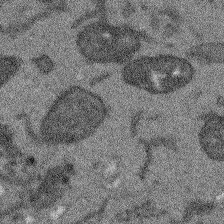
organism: Arabidopsis thaliana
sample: Root tip